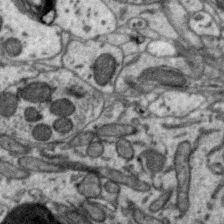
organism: Zebra finch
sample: Brain